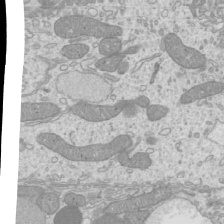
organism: Mouse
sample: Cilia; mouse epididymis